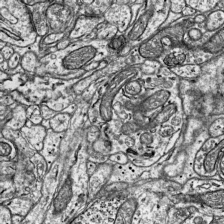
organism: Mouse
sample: Visual Cortex